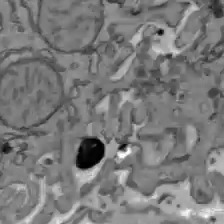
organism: C57BL Mouse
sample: Liver